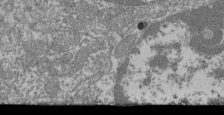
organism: Mouse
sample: Glomerulus